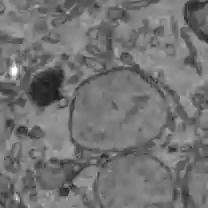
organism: C57BL Mouse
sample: Liver